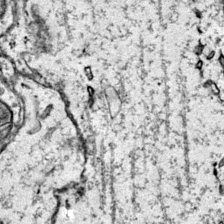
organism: Mouse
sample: Primary visual cortex